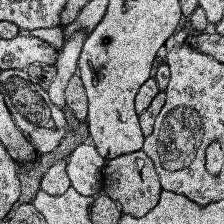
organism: Human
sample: Temporal Lobe